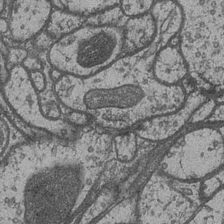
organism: Drosophila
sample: Optic medulla